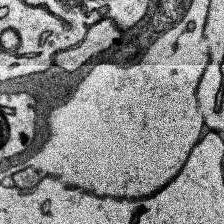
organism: Human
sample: Temporal Lobe